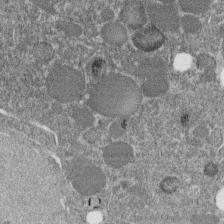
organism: C. elegans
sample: C. elegans embryo early stage